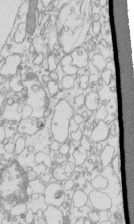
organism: Mouse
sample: Macrophages